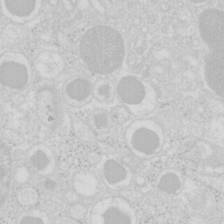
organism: Mouse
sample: Pancreas